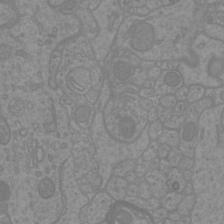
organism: Mouse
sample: Cortical neurons